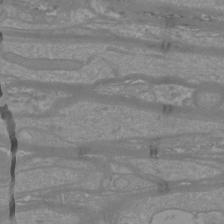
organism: Mouse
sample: Cortical neurons